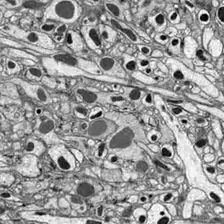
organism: Drosophila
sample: Optic lobe